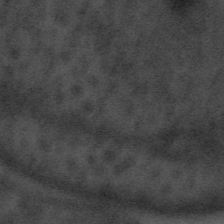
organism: Tuwongella immobilis